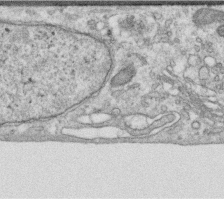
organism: Human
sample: Centriole in RPE cells